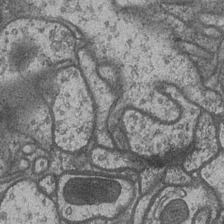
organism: Drosophila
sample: Optic medulla